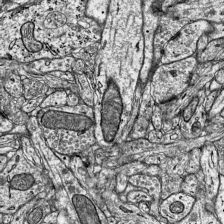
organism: Mouse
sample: Visual Cortex